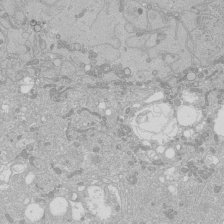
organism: Human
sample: Caco-2 cells